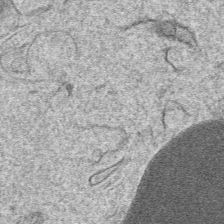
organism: Mouse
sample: Mouse hepatocytes